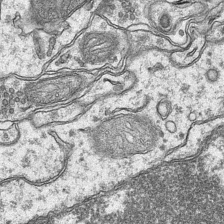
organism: Mouse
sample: CA1 Hippocampus